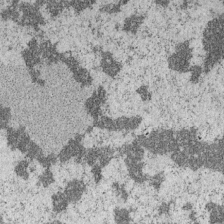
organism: Mouse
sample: OT-I killer T cells with ID8 ovarian cancer cells